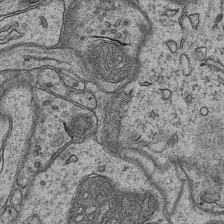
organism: Mouse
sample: CA1 Hippocampus